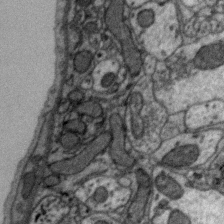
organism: Zebra finch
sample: Brain